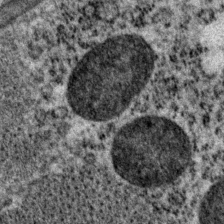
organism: P. pacificus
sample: Pharynx